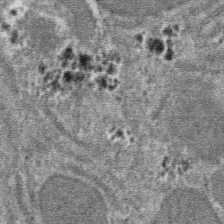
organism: Mouse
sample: Mouse hepatocytes